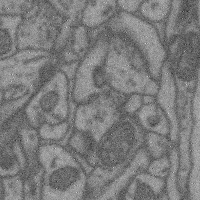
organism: Mouse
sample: Cerebral cortex